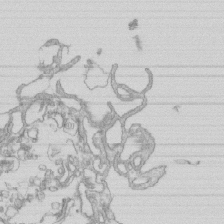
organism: Mouse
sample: Macrophages